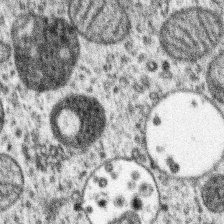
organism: Human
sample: HeLa cells